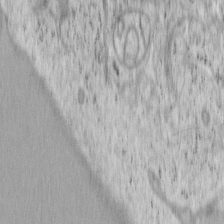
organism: Human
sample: HeLa cells